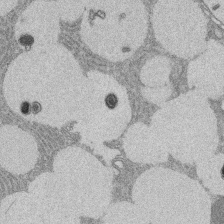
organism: Rat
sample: Salivary granule